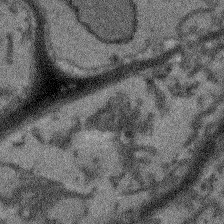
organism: Arabidopsis thaliana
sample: Root tip